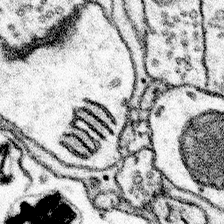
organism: Mouse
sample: Somatosensory cortex neuropil